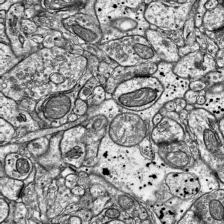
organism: Mouse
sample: Visual Cortex